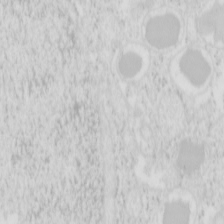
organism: Mouse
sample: Pancreas